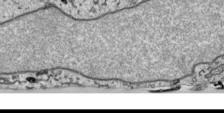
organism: Human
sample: Mitochondria in HCT116 cells